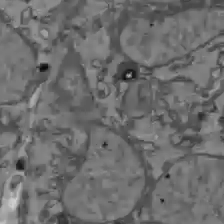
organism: C57BL Mouse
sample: Liver